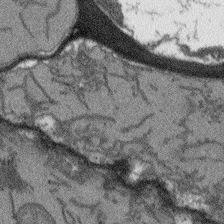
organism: Arabidopsis thaliana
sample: Root tip